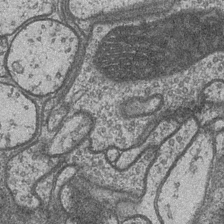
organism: Drosophila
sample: Optic medulla